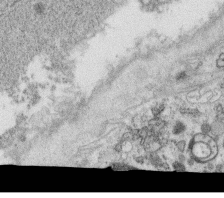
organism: C. elegans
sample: C. elegans oocyte; sperm cells